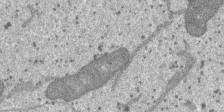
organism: Human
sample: Lung epithelial cells infected with SARS-CoV-2